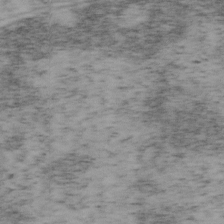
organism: Mouse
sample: OT-I killer T cells with ID8 ovarian cancer cells